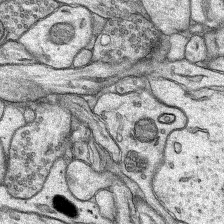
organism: Rat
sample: Hippocampus